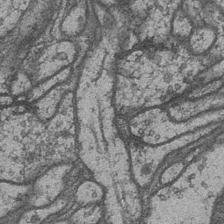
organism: Drosophila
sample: Optic medulla